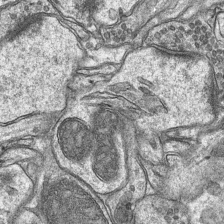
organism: Mouse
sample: CA1 Hippocampus